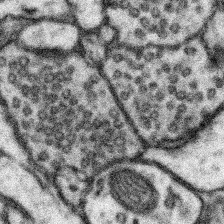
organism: Mouse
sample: Somatosensory cortex neuropil